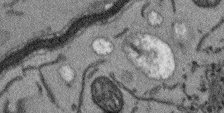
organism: Arabidopsis thaliana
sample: Root tip